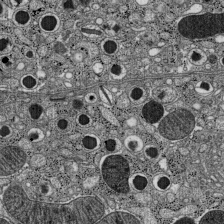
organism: C57BL Mouse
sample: Pancreatic islet